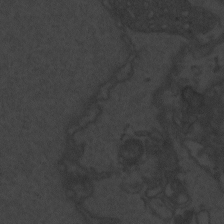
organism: Zebrafish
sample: Macrophage infected with Toxoplasma gondii